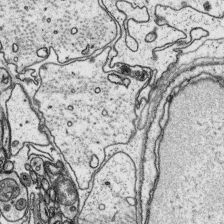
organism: Platynereis dumerilii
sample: Parapodia